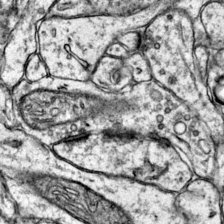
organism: Mouse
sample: Primary visual cortex